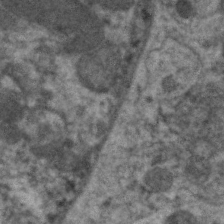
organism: C. elegans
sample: Pharynx